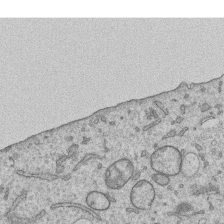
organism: Human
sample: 1205lu cells